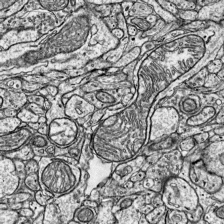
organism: Mouse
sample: Visual Cortex